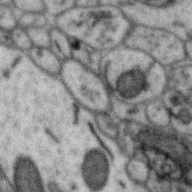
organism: Zebra finch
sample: Brain